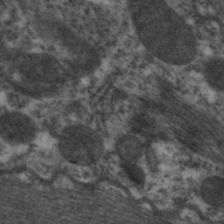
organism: C. elegans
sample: Pharynx